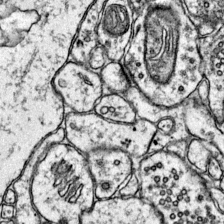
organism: Mouse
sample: Primary visual cortex